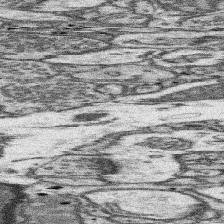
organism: Mouse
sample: Somatosensory cortex neuropil